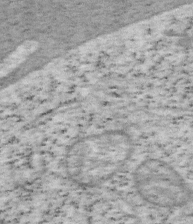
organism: Mouse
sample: OT-I killer T cells with ID8 ovarian cancer cells